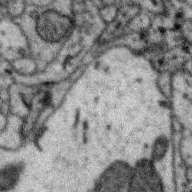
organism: Zebra finch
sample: Brain